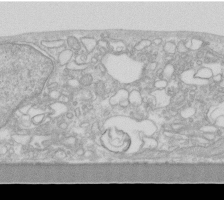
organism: Human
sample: Fibroblast cells